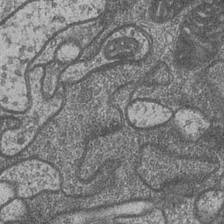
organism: Drosophila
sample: Optic medulla